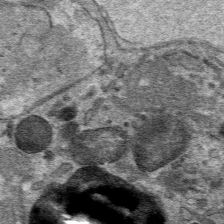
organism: Mouse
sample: Mouse hepatocytes